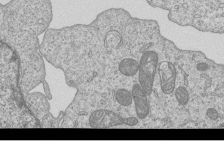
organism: Human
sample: MDA-MB-231 cells